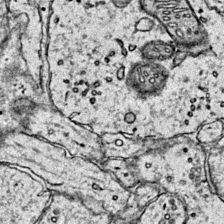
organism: Mouse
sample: Primary visual cortex